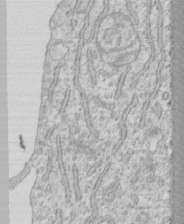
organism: Human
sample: CRL-1474